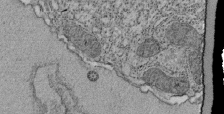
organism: Tetrahymena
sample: Cilia in tetrahymena